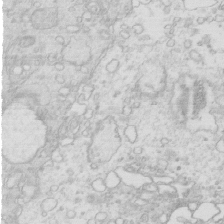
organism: Mouse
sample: Multiciliated cells